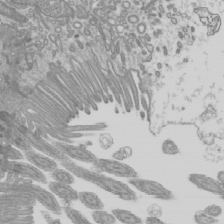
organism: Mouse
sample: Cilia; mouse epididymis